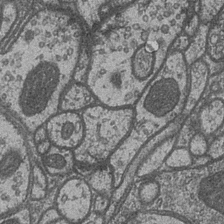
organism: Drosophila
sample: Optic medulla